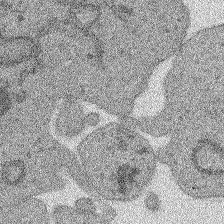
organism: Human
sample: HeLa cells